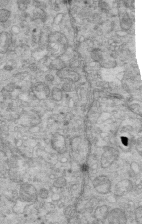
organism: Mouse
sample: Multiciliated cells